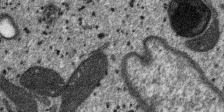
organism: Human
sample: Lung epithelial cells infected with SARS-CoV-2